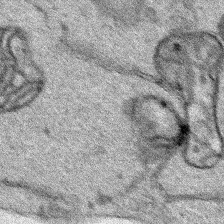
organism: Human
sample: Mitochondria in HCT116 cells